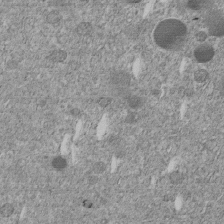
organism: C. elegans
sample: C. elegans embryo early stage